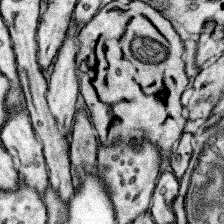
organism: Mouse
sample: Somatosensory cortex neuropil